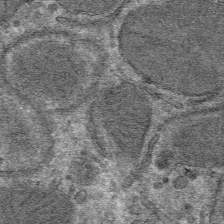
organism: Mouse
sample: Mouse hepatocytes